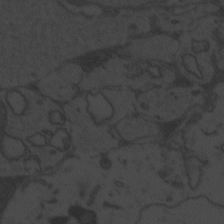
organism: Zebrafish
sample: Macrophage infected with Toxoplasma gondii